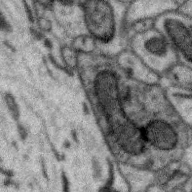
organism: Zebra finch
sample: Brain